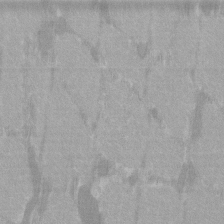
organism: C57BL Mouse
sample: Tibialis anterior muscle cell